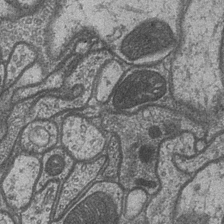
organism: Drosophila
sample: Optic medulla